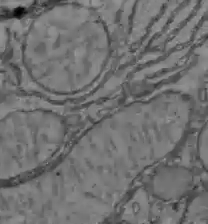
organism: C57BL Mouse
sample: Liver